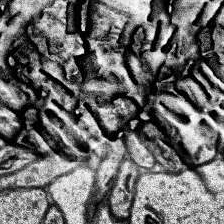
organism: Human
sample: Temporal Lobe